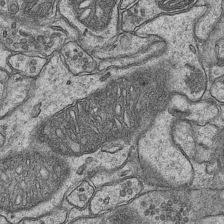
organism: Mouse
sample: CA1 Hippocampus